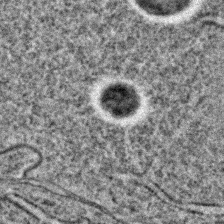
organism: C. elegans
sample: C. elegans embryo